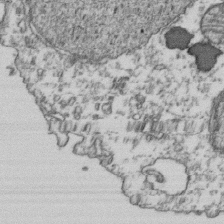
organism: Human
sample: Activated Jurkat CD4+ T cells